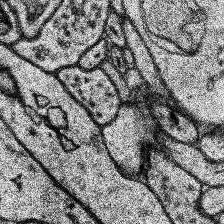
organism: Human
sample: Temporal Lobe